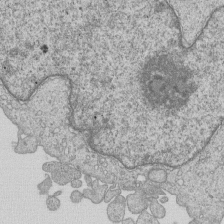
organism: Human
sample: MDA-MB-231 cells